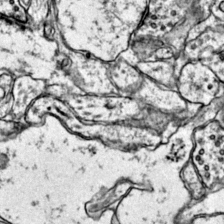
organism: Mouse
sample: Primary visual cortex